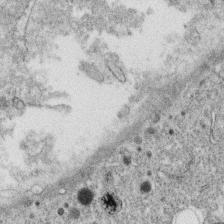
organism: C. elegans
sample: C. elegans oocyte; sperm cells